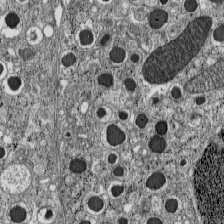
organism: C57BL Mouse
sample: Pancreatic islet